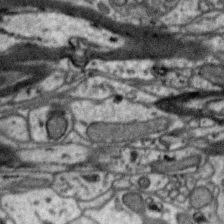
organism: Zebra finch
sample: Brain